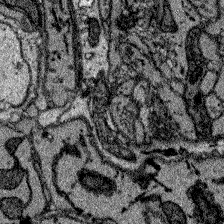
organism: Zebrafish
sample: Larval olfactory bulb